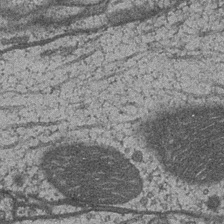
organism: Drosophila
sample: Optic medulla